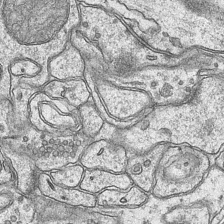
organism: Mouse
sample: CA1 Hippocampus